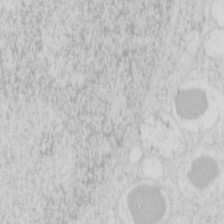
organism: Mouse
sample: Pancreas